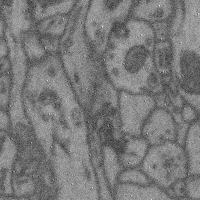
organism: Mouse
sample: Cerebral cortex